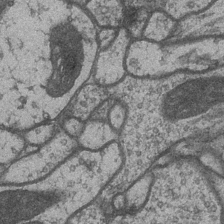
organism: Drosophila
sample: Optic medulla